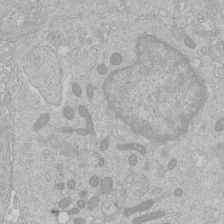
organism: Human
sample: Macrophage cells